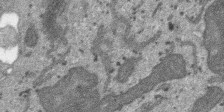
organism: Human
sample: Lung epithelial cells infected with SARS-CoV-2